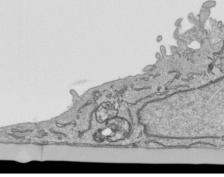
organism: Human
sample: Mitochondria in HCT116 cells